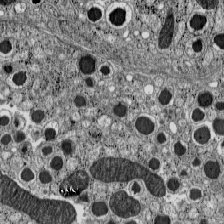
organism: C57BL Mouse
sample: Pancreatic islet